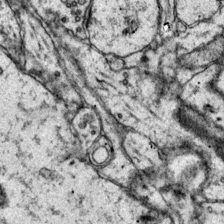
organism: Mouse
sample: Primary visual cortex